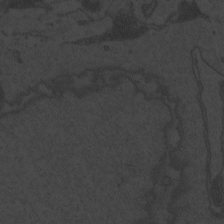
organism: Zebrafish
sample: Macrophage infected with Toxoplasma gondii